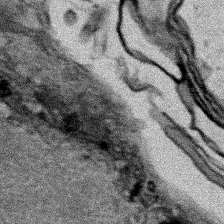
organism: Human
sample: Mitochondria in HCT116 cells